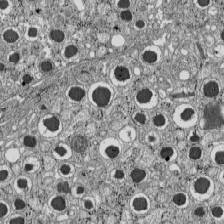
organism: C57BL Mouse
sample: Pancreatic islet